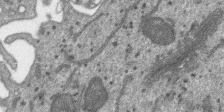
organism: Human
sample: Lung epithelial cells infected with SARS-CoV-2